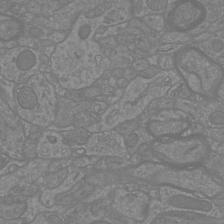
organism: Mouse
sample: Cortical neurons